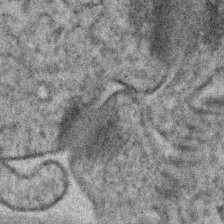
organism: Human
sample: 1205lu cells